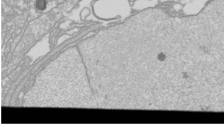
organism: Drosophila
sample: Cell division; meiosis; drosophila spermatocytes